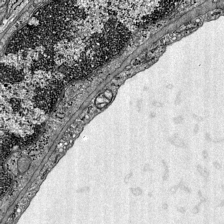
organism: Mouse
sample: Visual Cortex